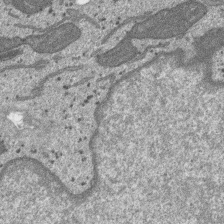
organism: Human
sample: Lung epithelial cells infected with SARS-CoV-2